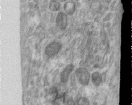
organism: Human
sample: Centriole in RPE cells